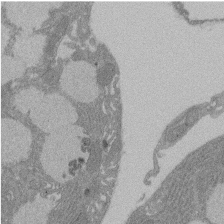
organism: Rat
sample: Salivary granule